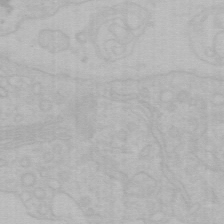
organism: Mouse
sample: Choroid plexus